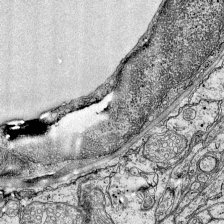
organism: Mouse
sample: Visual Cortex